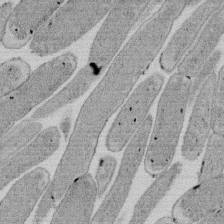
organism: E. coli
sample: Bacterial nucleoid